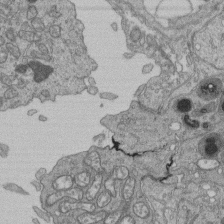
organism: Human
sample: Retinal organoid Rod and Cone cells